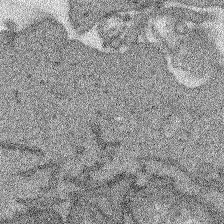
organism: Human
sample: HeLa cells